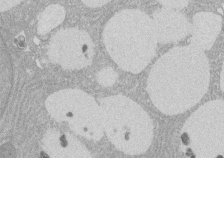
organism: Rat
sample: Salivary granule